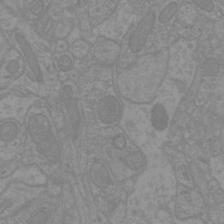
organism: Mouse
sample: Cortical neurons